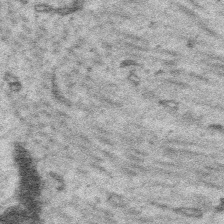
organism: Platynereis dumerilii